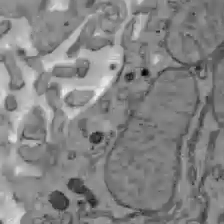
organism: C57BL Mouse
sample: Liver